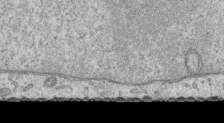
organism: Human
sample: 1205lu cells